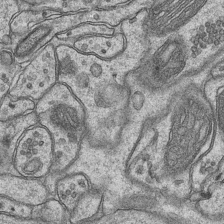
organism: Mouse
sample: CA1 Hippocampus